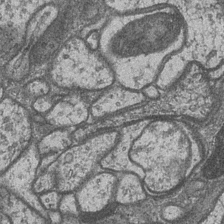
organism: Drosophila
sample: Optic medulla